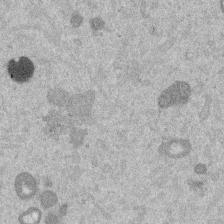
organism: Mouse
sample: Dividing mouse embryo 1 cell stage